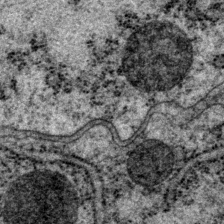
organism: P. pacificus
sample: Pharynx